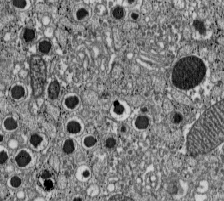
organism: C57BL Mouse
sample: Pancreatic islet